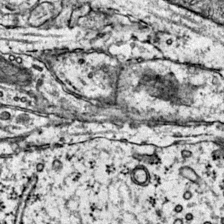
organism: Mouse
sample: Primary visual cortex